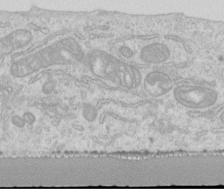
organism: Human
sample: Centriole in RPE cells